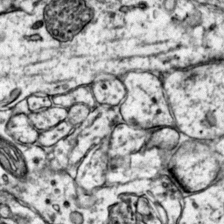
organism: Mouse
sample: Primary visual cortex